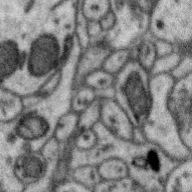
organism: Zebra finch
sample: Brain